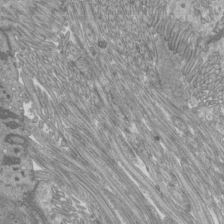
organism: Mouse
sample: Cilia; mouse epididymis